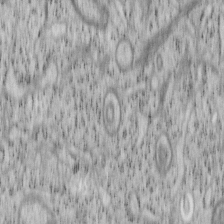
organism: Human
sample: HeLa cells